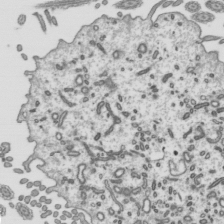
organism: Mouse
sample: Mouse epididymis efferent ductule cilia